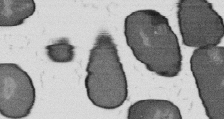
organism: B. subtilis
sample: Bacterial spore